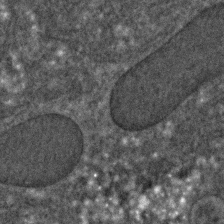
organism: C. elegans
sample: C. elegans embryo